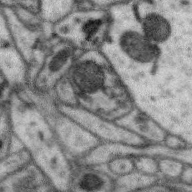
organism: Zebra finch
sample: Brain